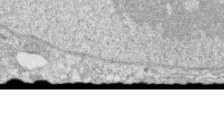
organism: Human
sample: HeLa cell HIV synapse